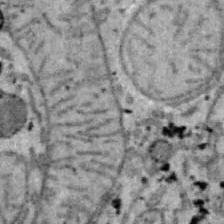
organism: Mouse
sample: Liver from an obese (ob/ob) mouse